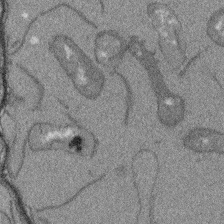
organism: Arabidopsis thaliana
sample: Root tip